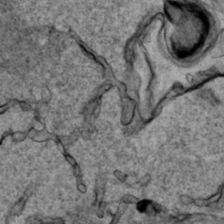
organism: Human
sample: Mitochondria in HCT116 cells